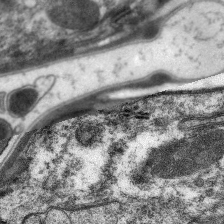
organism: C. elegans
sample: Pharynx